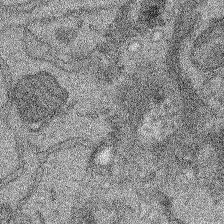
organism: Human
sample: HeLa cells